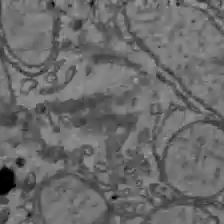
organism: C57BL Mouse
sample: Liver